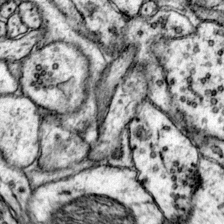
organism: Mouse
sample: Primary visual cortex